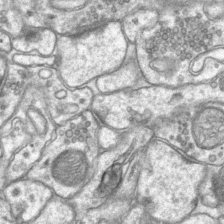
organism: Mouse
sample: CA1 Hippocampus